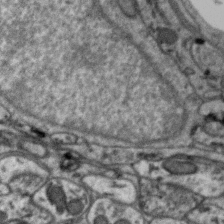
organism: Zebra finch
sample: Brain